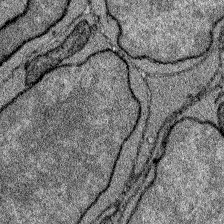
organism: Zebrafish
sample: Larval olfactory bulb